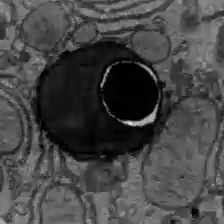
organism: C57BL Mouse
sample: Liver